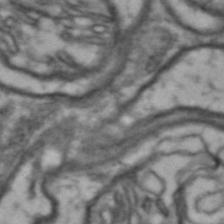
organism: Drosophila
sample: Brain